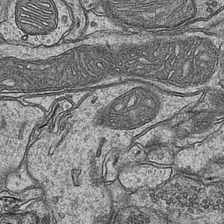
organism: Mouse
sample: CA1 Hippocampus